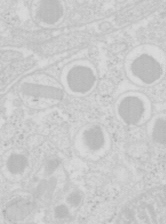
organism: Mouse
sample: Pancreas